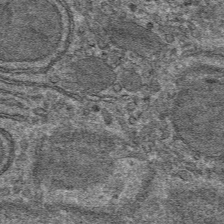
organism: Mouse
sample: Mouse hepatocytes